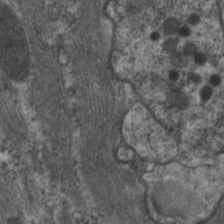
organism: C. elegans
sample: Pharynx